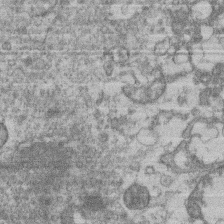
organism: Mouse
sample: T cell stromal cell synapse